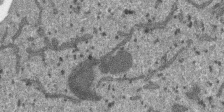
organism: Human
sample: Lung epithelial cells infected with SARS-CoV-2